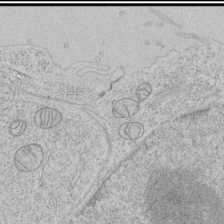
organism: Human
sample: Mitochondria in HCT116 cells